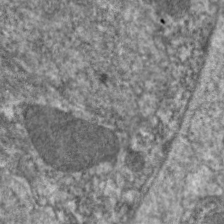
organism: C. elegans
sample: Pharynx